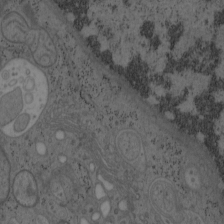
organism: Mouse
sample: OT-I killer T cells with ID8 ovarian cancer cells